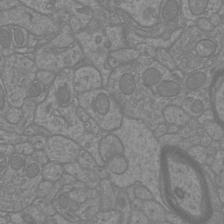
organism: Mouse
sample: Cortical neurons